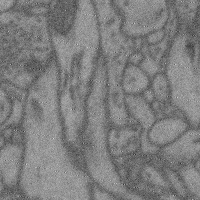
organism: Mouse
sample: Cerebral cortex